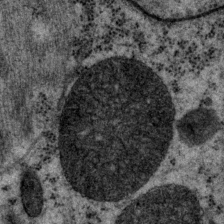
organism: P. pacificus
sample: Pharynx